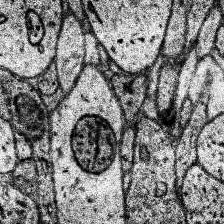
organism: Human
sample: Temporal Lobe